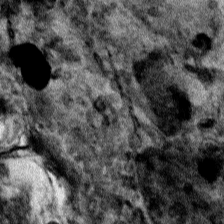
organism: Human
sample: Mitochondria in HCT116 cells